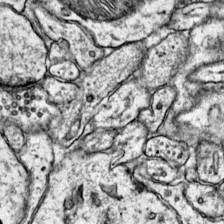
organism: Mouse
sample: Primary visual cortex